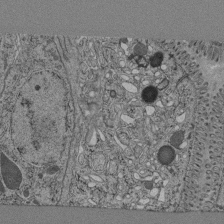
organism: C. elegans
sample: C. elegans pharynx